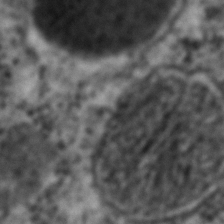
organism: C. elegans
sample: C. elegans embryo